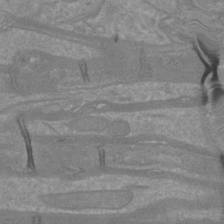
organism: Mouse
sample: Cortical neurons